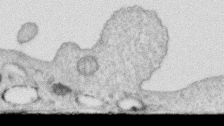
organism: Human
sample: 1205lu cells